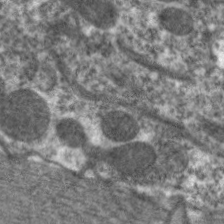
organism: C. elegans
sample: Pharynx